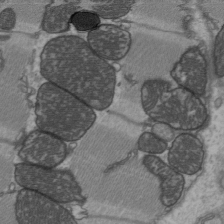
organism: C57BL Mouse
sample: Heart